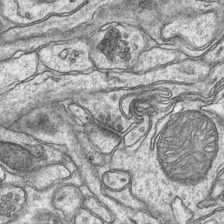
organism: Mouse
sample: CA1 Hippocampus